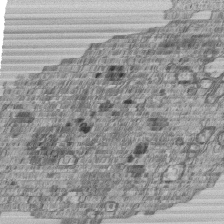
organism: Human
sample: MDA-MB-231 cells